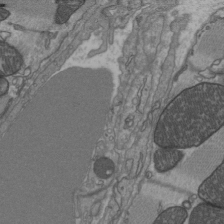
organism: C57BL Mouse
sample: Heart